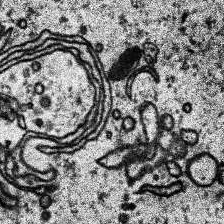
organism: Human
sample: Temporal Lobe